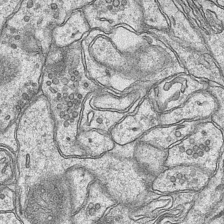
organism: Mouse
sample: CA1 Hippocampus